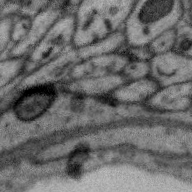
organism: Zebra finch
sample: Brain